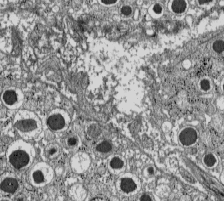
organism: C57BL Mouse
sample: Pancreatic islet